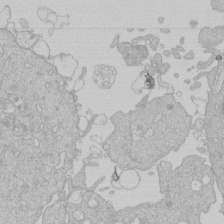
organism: Human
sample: Macrophage cells